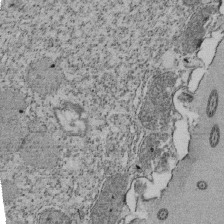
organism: Tetrahymena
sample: Cilia in tetrahymena